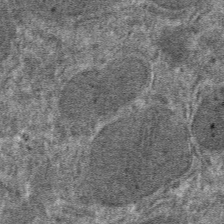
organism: Mouse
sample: Mouse hepatocytes